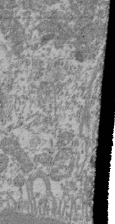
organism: Mouse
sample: Glomerulus